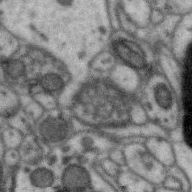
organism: Zebra finch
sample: Brain